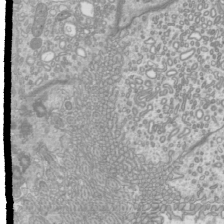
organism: Mouse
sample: Cilia; mouse epididymis